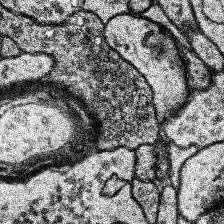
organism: Human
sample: Temporal Lobe